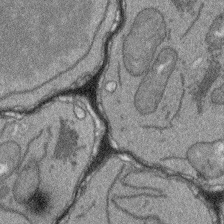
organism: Arabidopsis thaliana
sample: Root tip